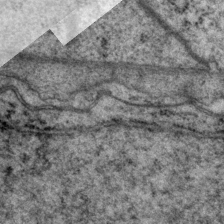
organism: P. pacificus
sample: Pharynx